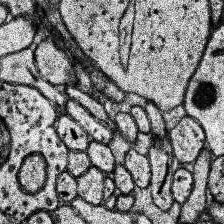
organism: Human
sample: Temporal Lobe